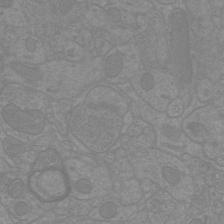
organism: Mouse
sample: Cortical neurons